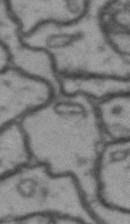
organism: Drosophila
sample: Brain